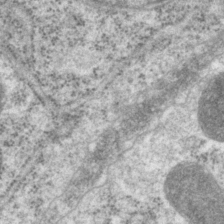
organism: P. pacificus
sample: Pharynx